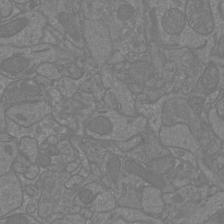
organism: Mouse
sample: Cortical neurons